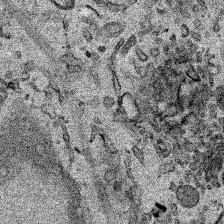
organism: Human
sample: Mitochondria in HCT116 cells